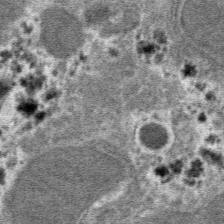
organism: Mouse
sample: Mouse hepatocytes